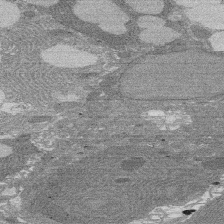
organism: Rat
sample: Salivary granule